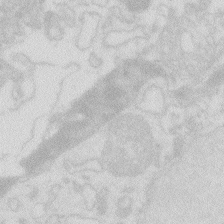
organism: Zebrafish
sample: Macrophage